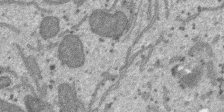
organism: Human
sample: Lung epithelial cells infected with SARS-CoV-2